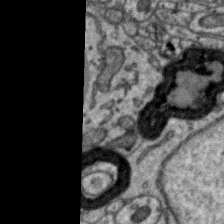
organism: Zebra finch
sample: Brain